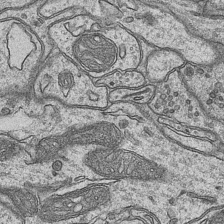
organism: Mouse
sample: CA1 Hippocampus